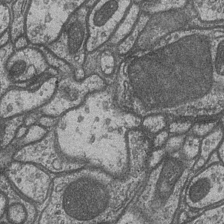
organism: Drosophila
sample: Optic medulla